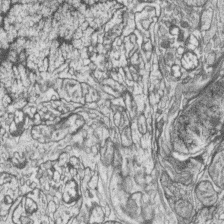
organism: Zebrafish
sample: synaptic ribbons in rod cells and cone cells